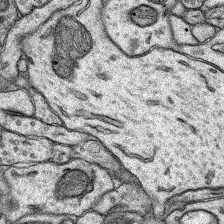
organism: Rat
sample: Hippocampus